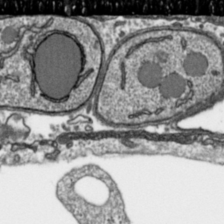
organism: Toxoplasma gondii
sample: Parasites in a vacuole inside a host cell